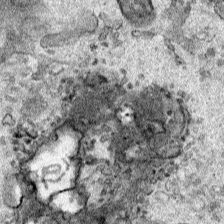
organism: Human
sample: Mitochondria in HCT116 cells